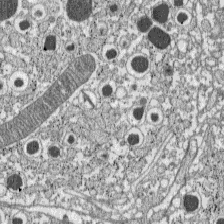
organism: C57BL Mouse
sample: Pancreatic islet